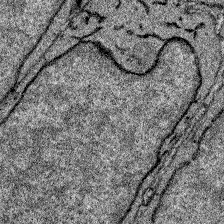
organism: Zebrafish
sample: Larval olfactory bulb